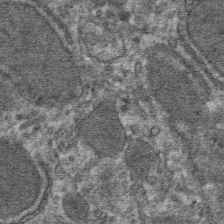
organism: Mouse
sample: Mouse hepatocytes